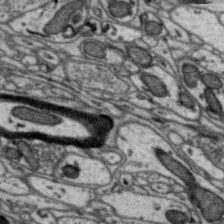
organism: Zebra finch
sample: Brain